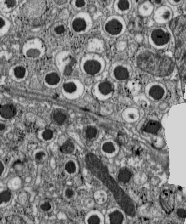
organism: C57BL Mouse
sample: Pancreatic islet